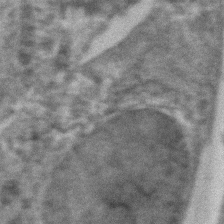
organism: Zebrafish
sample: Zebrafish embryo